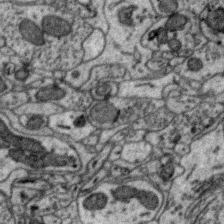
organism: Zebra finch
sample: Brain